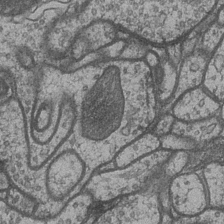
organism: Drosophila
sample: Optic medulla